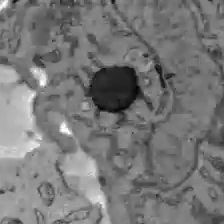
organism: C57BL Mouse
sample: Liver